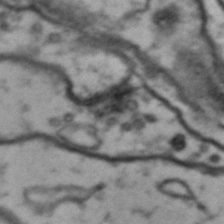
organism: Drosophila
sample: Brain